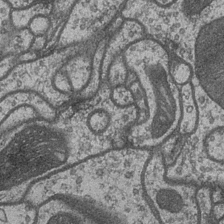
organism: Drosophila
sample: Optic medulla